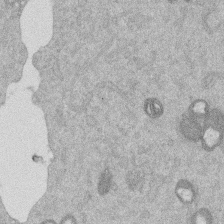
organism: Mouse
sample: Dividing mouse embryo 1 cell stage